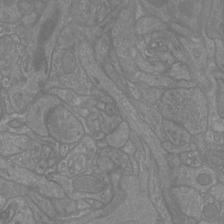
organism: Mouse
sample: Cortical neurons